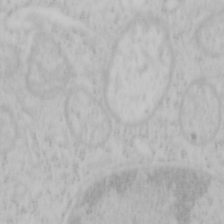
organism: Mouse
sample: OT-I killer T cells with ID8 ovarian cancer cells